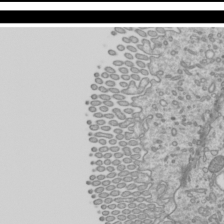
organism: Mouse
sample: Cilia; mouse epididymis